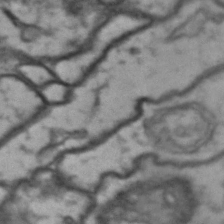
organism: Drosophila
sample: Brain